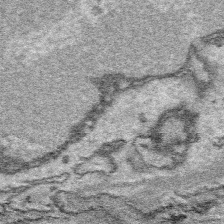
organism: Platynereis dumerilii